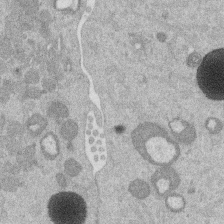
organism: Mouse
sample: Dividing mouse embryo 1 cell stage